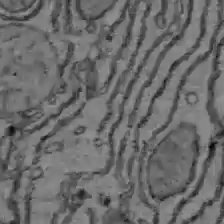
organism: C57BL Mouse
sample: Liver